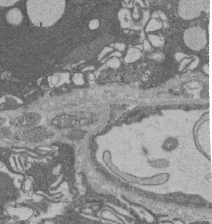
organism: Rat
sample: Salivary granule